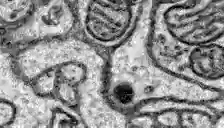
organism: Zebrafish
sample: Brain